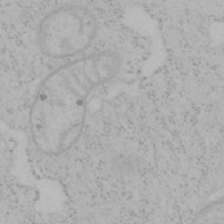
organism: Mouse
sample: OT-I killer T cells with ID8 ovarian cancer cells